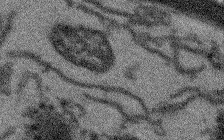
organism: Arabidopsis thaliana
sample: Root tip